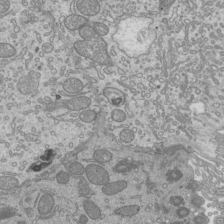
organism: Mouse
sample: Cilia; mouse epididymis